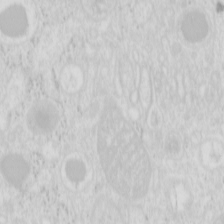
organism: Mouse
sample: Pancreas